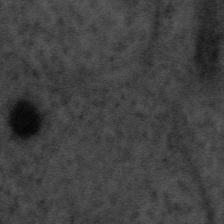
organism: Tuwongella immobilis